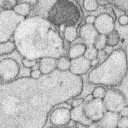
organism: Rabbit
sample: Retina